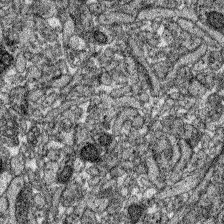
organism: Zebrafish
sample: Larval olfactory bulb